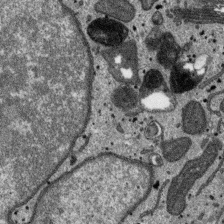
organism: Human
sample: Lung epithelial cells, uninfected (mock) control